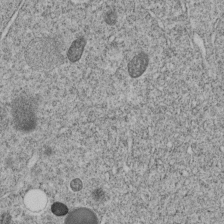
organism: C. elegans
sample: C. elegans embryo early stage